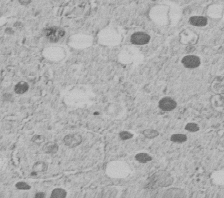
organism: C. elegans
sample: C. elegans embryo early stage